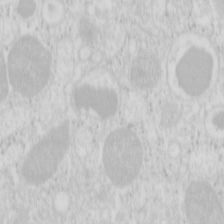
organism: Mouse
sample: Pancreas